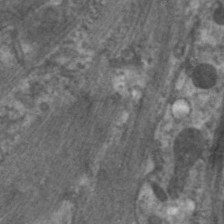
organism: C. elegans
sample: Pharynx